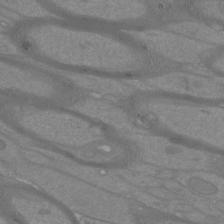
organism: Mouse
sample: Cortical neurons